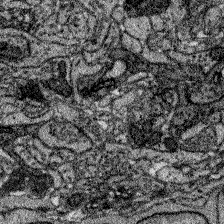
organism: Zebrafish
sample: Larval olfactory bulb